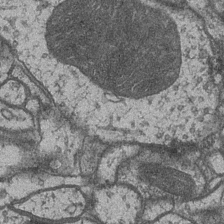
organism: Drosophila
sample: Optic medulla